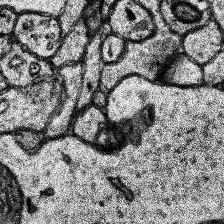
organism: Human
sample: Temporal Lobe